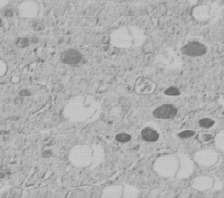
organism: C. elegans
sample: C. elegans embryo early stage